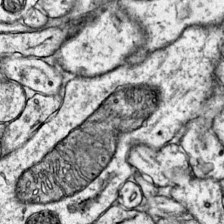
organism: Mouse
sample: Primary visual cortex